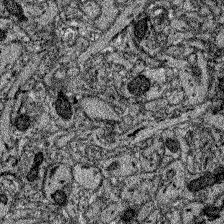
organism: Zebrafish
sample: Larval olfactory bulb